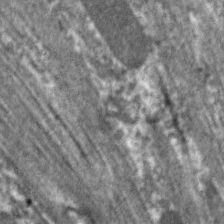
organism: C. elegans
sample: Pharynx